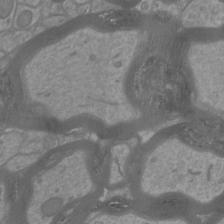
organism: Mouse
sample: Cortical neurons